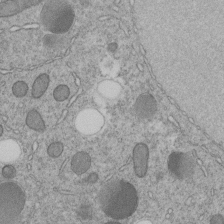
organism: C. elegans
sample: C. elegans embryo early stage